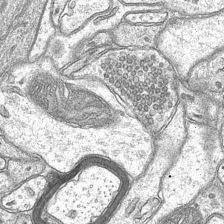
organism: Mouse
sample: CA1 Hippocampus